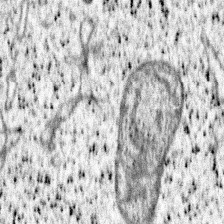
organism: Human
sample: HeLa cells